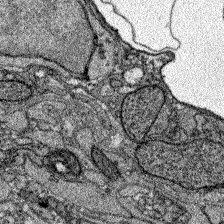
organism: Zebrafish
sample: Larval olfactory bulb